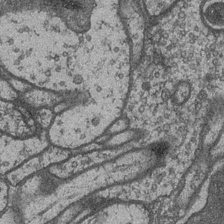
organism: Drosophila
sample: Optic medulla